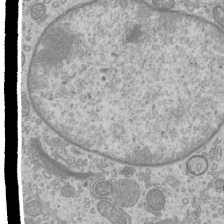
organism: Mouse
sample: Cilia; mouse epididymis